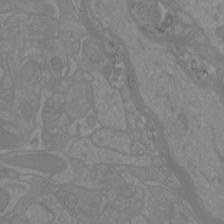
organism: Mouse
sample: Cortical neurons